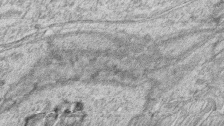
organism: Zebrafish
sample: synaptic ribbons in rod cells and cone cells